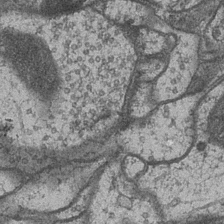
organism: Drosophila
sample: Optic medulla